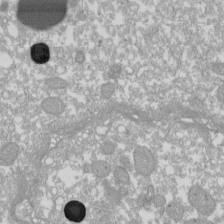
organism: Xenopus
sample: Cilia; centrioles in frog embryo cells